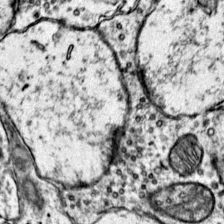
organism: Mouse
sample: Primary visual cortex